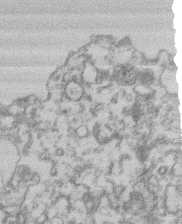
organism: Mouse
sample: T cell stromal cell synapse